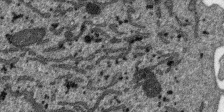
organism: Human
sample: Lung epithelial cells infected with SARS-CoV-2